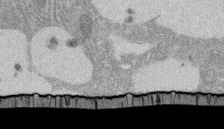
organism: Rat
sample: Salivary granule